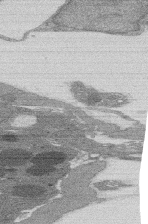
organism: Rat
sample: Salivary granule